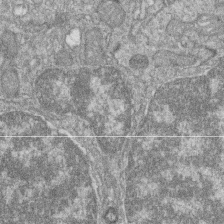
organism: Zebrafish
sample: Cilia; retinal pigment epithelium